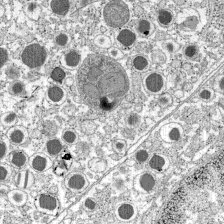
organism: C57BL Mouse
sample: Pancreatic islet